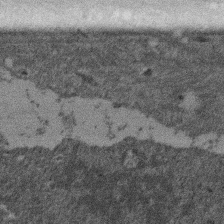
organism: Mouse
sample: Dividing mouse embryo 1 cell stage